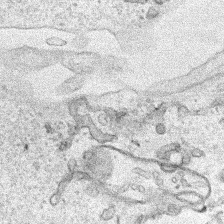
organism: Human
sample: Mitochondria in HCT116 cells